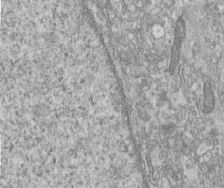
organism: Human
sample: Centriole in fibroblast cells